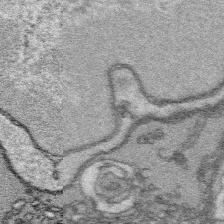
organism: Platynereis dumerilii